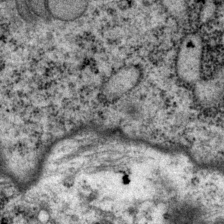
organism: P. pacificus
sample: Pharynx